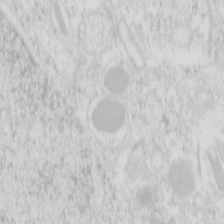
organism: Mouse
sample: Pancreas